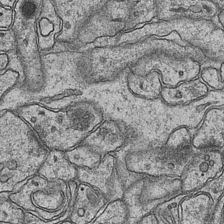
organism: Mouse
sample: CA1 Hippocampus